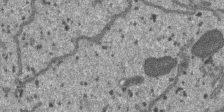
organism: Human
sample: Lung epithelial cells infected with SARS-CoV-2